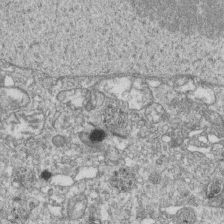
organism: Human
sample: HeLa cell HIV synapse